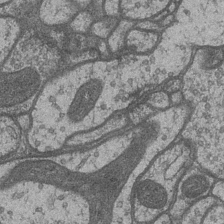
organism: Drosophila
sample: Optic medulla